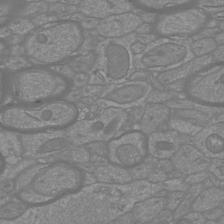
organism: Mouse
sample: Cortical neurons